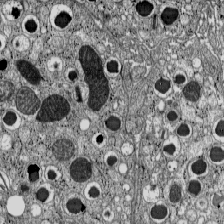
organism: C57BL Mouse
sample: Pancreatic islet